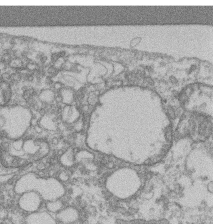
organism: Mouse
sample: T cell stromal cell synapse